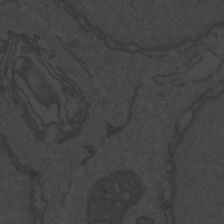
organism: Zebrafish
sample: Macrophage infected with Toxoplasma gondii